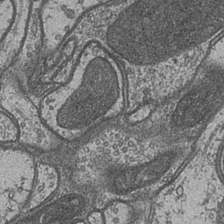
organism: Drosophila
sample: Optic medulla